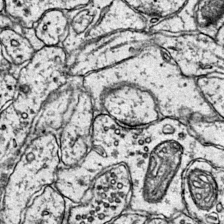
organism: Mouse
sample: Primary visual cortex